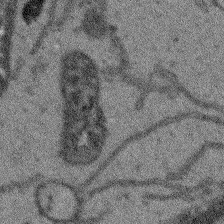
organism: Arabidopsis thaliana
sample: Root tip